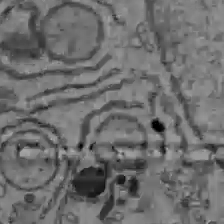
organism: C57BL Mouse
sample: Liver